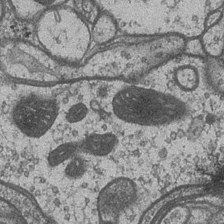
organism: Drosophila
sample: Optic medulla